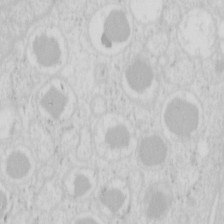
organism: Mouse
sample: Pancreas